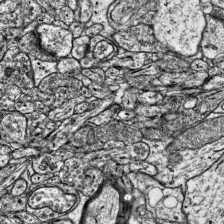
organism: Mouse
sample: Visual Cortex